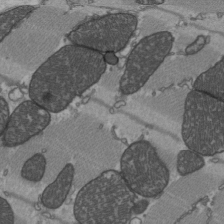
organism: C57BL Mouse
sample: Heart